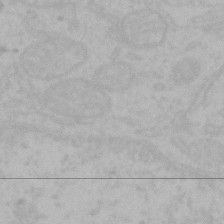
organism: Mouse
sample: Choroid plexus